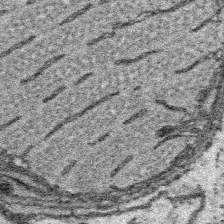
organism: Platynereis dumerilii